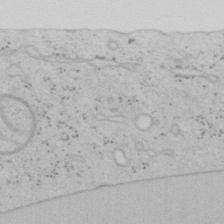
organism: Human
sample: HeLa cells